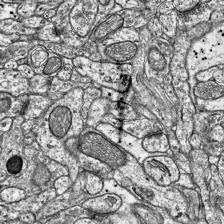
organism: Mouse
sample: Visual Cortex